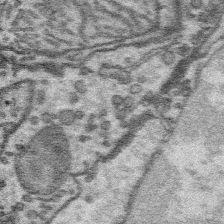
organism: Platynereis dumerilii